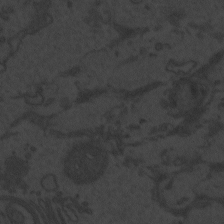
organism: Zebrafish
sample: Macrophage infected with Toxoplasma gondii